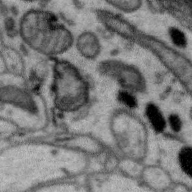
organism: Zebra finch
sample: Brain